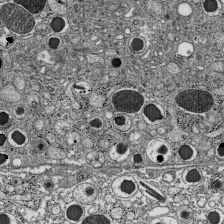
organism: C57BL Mouse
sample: Pancreatic islet